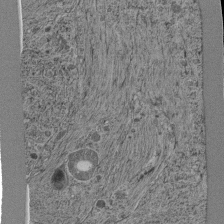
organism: C. elegans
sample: C. elegans pharynx